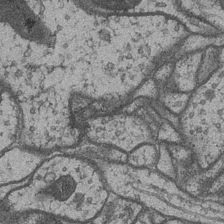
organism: Drosophila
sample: Optic medulla